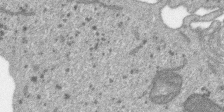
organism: Human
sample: Lung epithelial cells infected with SARS-CoV-2